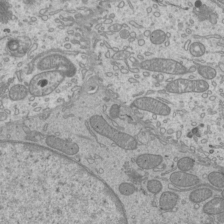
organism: Mouse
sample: Cilia; mouse epididymis